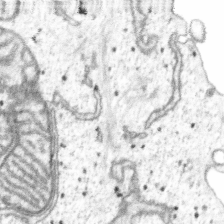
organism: Human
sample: HeLa cells